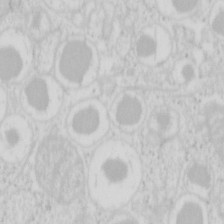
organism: Mouse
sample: Pancreas